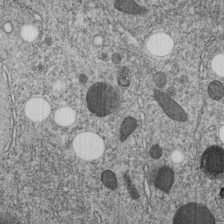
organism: C. elegans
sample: C. elegans embryo early stage